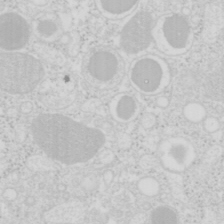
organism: Mouse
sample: Pancreas